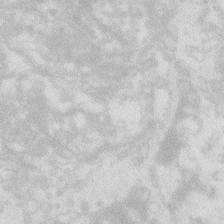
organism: Zebrafish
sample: Macrophage